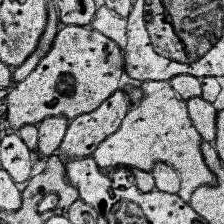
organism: Human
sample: Temporal Lobe